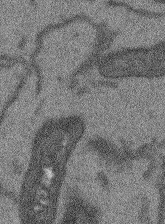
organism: Arabidopsis thaliana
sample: Root tip